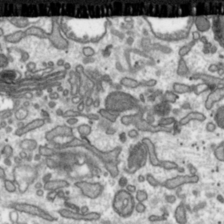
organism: Toxoplasma gondii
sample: Parasites in a vacuole inside a host cell